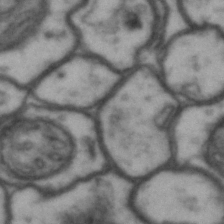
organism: Drosophila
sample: Brain